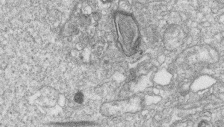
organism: Human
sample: HeLa cell HIV synapse